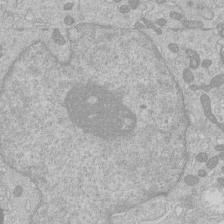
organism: Human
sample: Macrophage cells